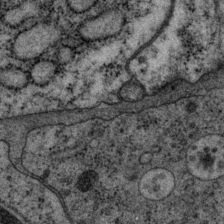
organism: P. pacificus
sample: Pharynx